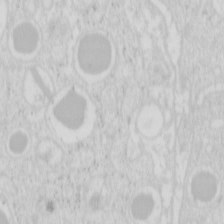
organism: Mouse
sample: Pancreas